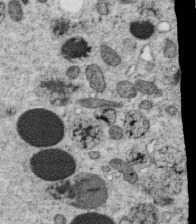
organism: C. elegans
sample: C. elegans oocyte; sperm cells